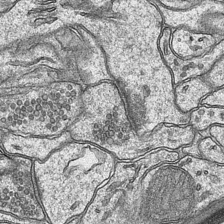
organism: Mouse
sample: CA1 Hippocampus